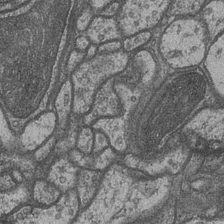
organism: Drosophila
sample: Optic medulla